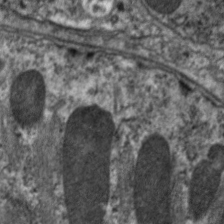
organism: C. elegans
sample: Pharynx